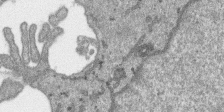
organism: Human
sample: Lung epithelial cells infected with SARS-CoV-2